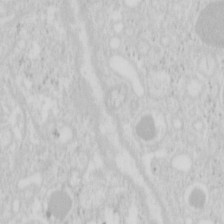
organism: Mouse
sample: Pancreas